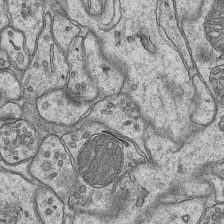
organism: Mouse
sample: CA1 Hippocampus